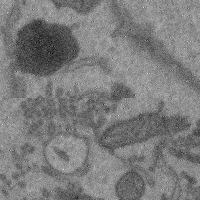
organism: Mouse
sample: Cerebral cortex